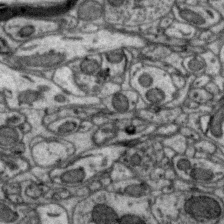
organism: Zebra finch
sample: Brain